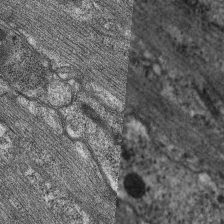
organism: C. elegans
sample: Pharynx